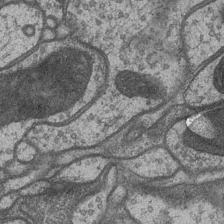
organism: Drosophila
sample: Optic medulla